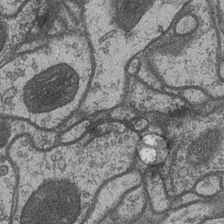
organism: Drosophila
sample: Optic medulla